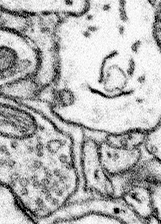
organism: Mouse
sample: Somatosensory cortex neuropil